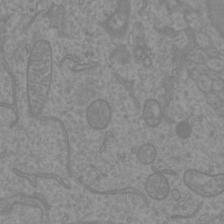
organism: Mouse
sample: Cortical neurons